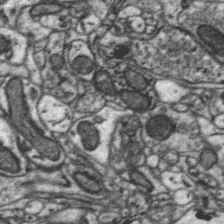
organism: Zebra finch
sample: Brain